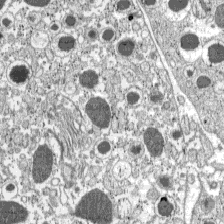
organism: C57BL Mouse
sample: Pancreatic islet